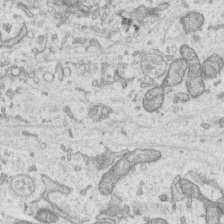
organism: Human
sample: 1205lu cells